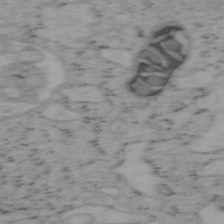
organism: Mouse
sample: OT-I killer T cells with ID8 ovarian cancer cells